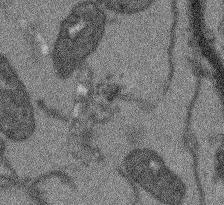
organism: Arabidopsis thaliana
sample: Root tip